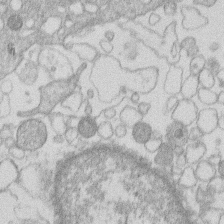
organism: Human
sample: Macrophage cells